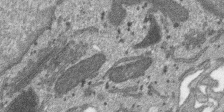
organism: Human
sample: Lung epithelial cells infected with SARS-CoV-2